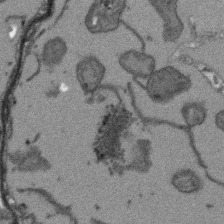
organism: Arabidopsis thaliana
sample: Root tip